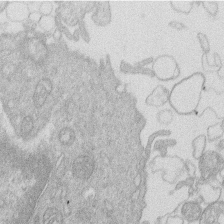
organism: Human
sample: Macrophage cells